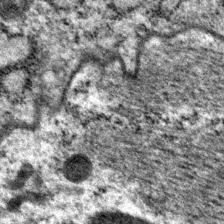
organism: P. pacificus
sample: Pharynx